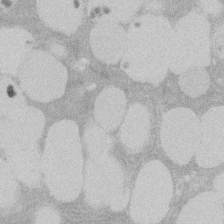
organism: Rat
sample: Salivary granule